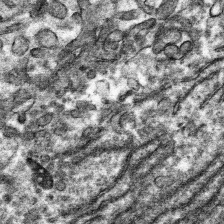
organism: Mouse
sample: Mouse hepatocytes